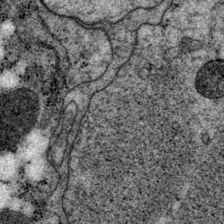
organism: P. pacificus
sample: Pharynx